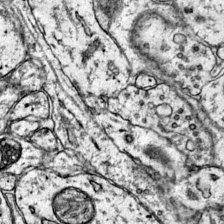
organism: Mouse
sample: Primary visual cortex